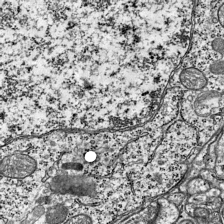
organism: Mouse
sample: Visual Cortex